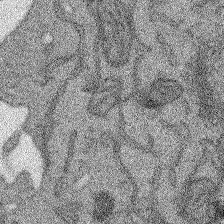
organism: Human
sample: HeLa cells